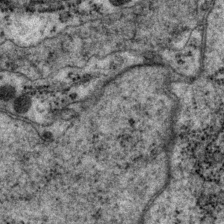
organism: P. pacificus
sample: Pharynx